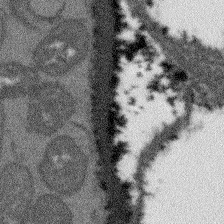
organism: Arabidopsis thaliana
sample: Root tip